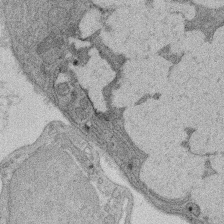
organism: Rat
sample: Salivary granule